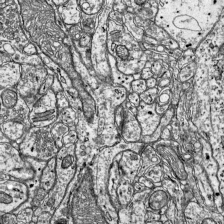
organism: Mouse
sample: Visual Cortex